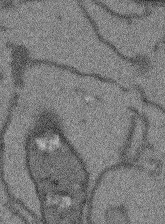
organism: Arabidopsis thaliana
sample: Root tip